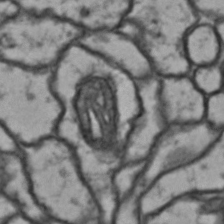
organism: Drosophila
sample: Brain